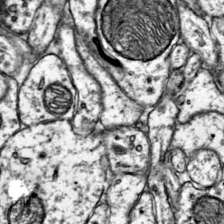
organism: Mouse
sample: Primary visual cortex